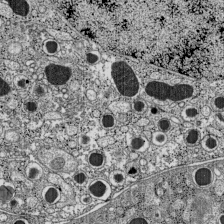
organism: C57BL Mouse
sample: Pancreatic islet